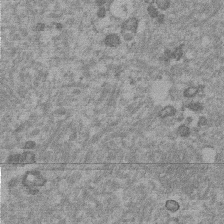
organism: Mouse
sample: Dividing mouse embryo 1 cell stage